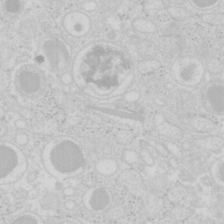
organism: Mouse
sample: Pancreas